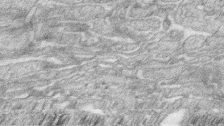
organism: Zebrafish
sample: synaptic ribbons in rod cells and cone cells